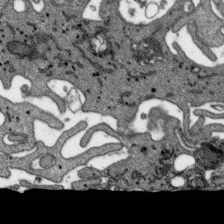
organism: Human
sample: Lung epithelial cells, uninfected (mock) control